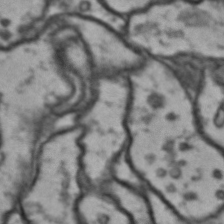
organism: Drosophila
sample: Brain